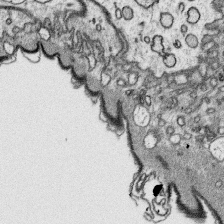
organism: Platynereis dumerilii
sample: Parapodia